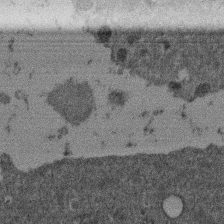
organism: Mouse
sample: Dividing mouse embryo 1 cell stage